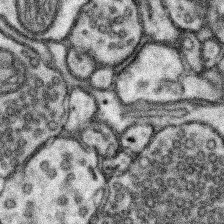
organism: Mouse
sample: Somatosensory cortex neuropil